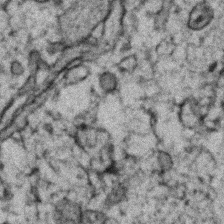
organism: Zebrafish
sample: Zebrafish embryo